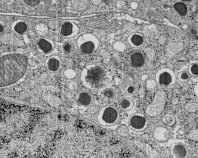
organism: C57BL Mouse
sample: Pancreatic islet